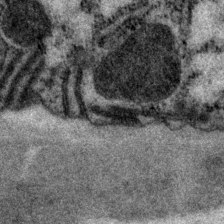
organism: P. pacificus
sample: Pharynx